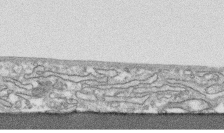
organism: Human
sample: CRL-1474